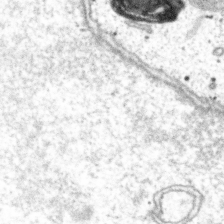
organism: Human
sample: HeLa cells